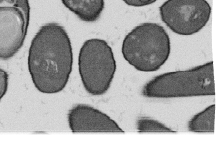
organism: B. subtilis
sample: Bacterial spore